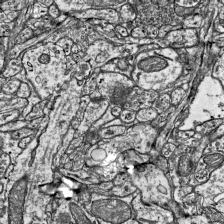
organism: Mouse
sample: Visual Cortex